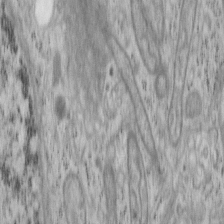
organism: Human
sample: HeLa cells